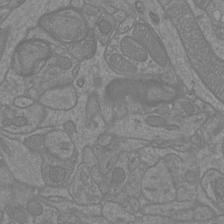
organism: Mouse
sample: Cortical neurons